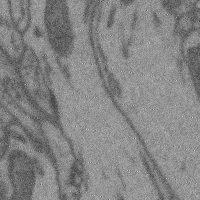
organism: Mouse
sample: Cerebral cortex